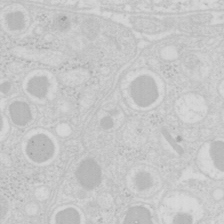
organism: Mouse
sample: Pancreas